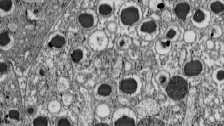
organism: C57BL Mouse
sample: Pancreatic islet